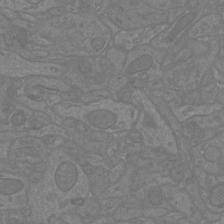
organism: Mouse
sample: Cortical neurons